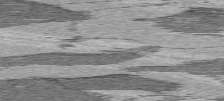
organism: C57BL Mouse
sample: Heart